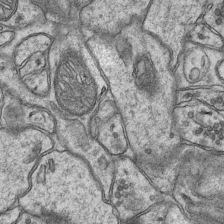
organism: Mouse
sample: CA1 Hippocampus